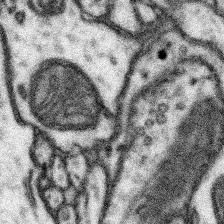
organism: Mouse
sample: Somatosensory cortex neuropil